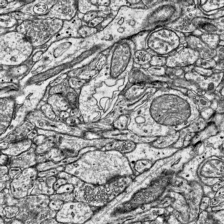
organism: Mouse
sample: Visual Cortex